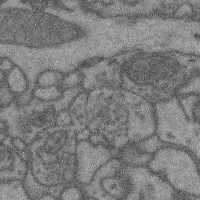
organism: Mouse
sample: Cerebral cortex